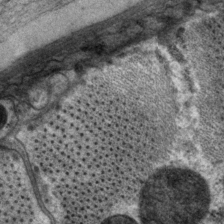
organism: P. pacificus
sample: Pharynx